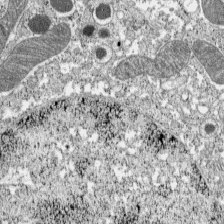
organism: C57BL Mouse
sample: Pancreatic islet